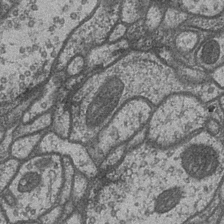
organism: Drosophila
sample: Optic medulla